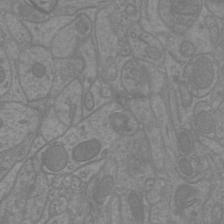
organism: Mouse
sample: Cortical neurons